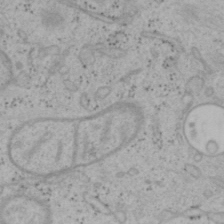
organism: Human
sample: HeLa cells